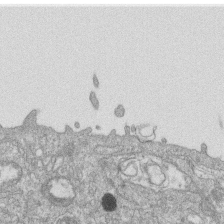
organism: Human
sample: HeLa cell HIV synapse